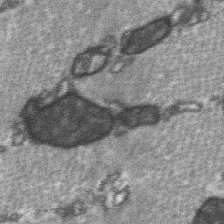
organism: C57BL Mouse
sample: Soleus